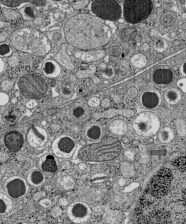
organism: C57BL Mouse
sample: Pancreatic islet